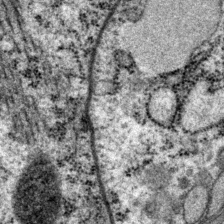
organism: P. pacificus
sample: Pharynx